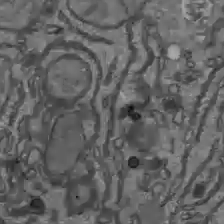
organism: C57BL Mouse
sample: Liver